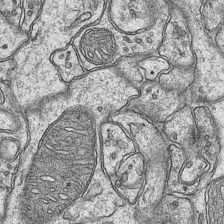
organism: Mouse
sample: CA1 Hippocampus